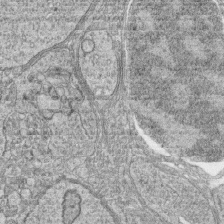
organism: Zebrafish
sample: synaptic ribbons in rod cells and cone cells